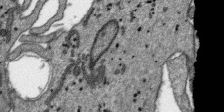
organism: Human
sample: Lung epithelial cells, uninfected (mock) control